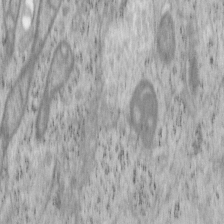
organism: Human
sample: HeLa cells